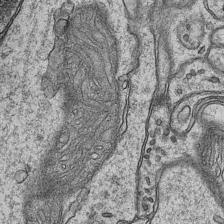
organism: Mouse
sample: CA1 Hippocampus